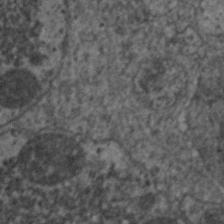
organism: C. elegans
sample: Pharynx